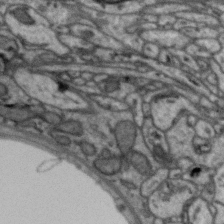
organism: Zebra finch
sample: Brain